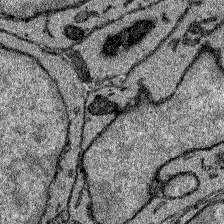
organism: Zebrafish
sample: Larval olfactory bulb